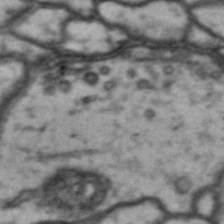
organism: Drosophila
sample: Brain